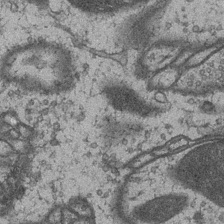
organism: Drosophila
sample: Optic medulla